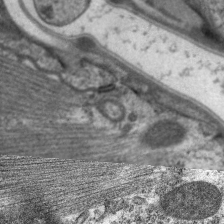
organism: C. elegans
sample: Pharynx